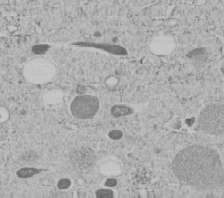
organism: C. elegans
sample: C. elegans embryo early stage